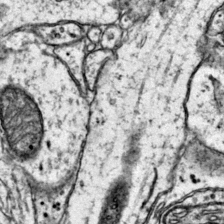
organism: Mouse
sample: Primary visual cortex